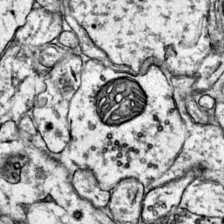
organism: Mouse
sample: Primary visual cortex